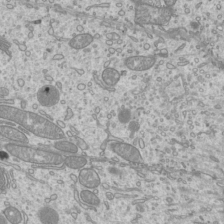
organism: Mouse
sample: Cilia; mouse epididymis